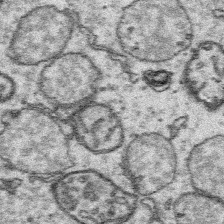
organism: Platynereis dumerilii